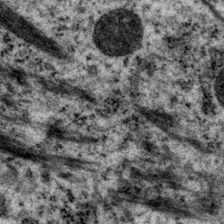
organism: P. pacificus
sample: Pharynx